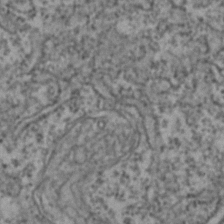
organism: Zebrafish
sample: Zebrafish embryo